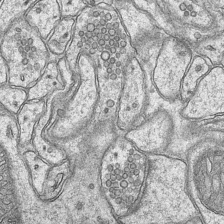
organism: Mouse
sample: CA1 Hippocampus